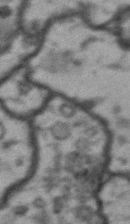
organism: Drosophila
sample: Brain